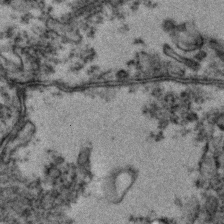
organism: Zebrafish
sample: Zebrafish embryo